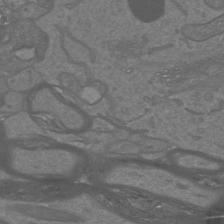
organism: Mouse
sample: Cortical neurons